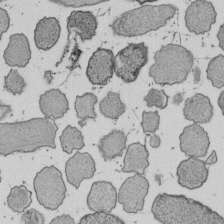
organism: E. coli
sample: Bacterial nucleoid